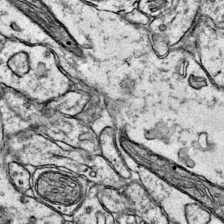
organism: Mouse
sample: Primary visual cortex